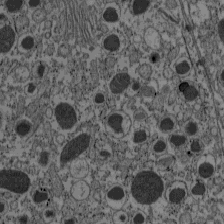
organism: C57BL Mouse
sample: Pancreatic islet